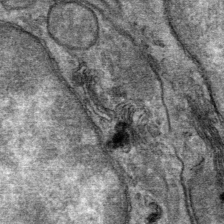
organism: Mouse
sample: Mouse Salivary gland